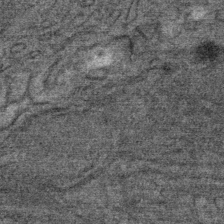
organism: Mouse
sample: Mouse Salivary gland